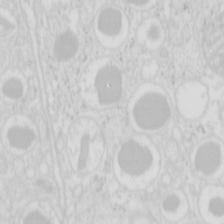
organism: Mouse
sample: Pancreas